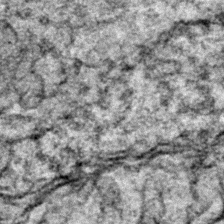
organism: Zebrafish